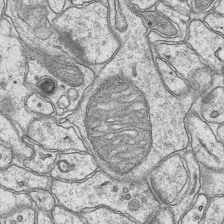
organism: Mouse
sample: CA1 Hippocampus